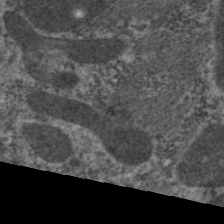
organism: C. elegans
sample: Pharynx